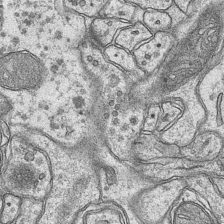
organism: Mouse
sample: CA1 Hippocampus